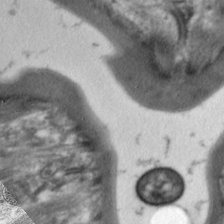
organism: C. elegans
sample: Pharynx